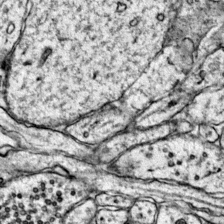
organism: Mouse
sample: Primary visual cortex